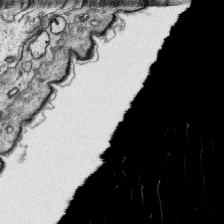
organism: Platynereis dumerilii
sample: Parapodia